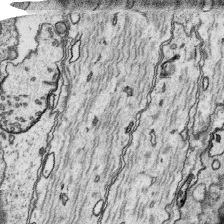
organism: Platynereis dumerilii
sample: Parapodia